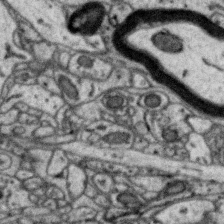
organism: Zebra finch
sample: Brain